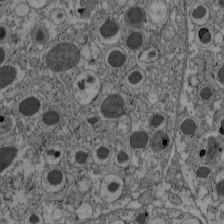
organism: C57BL Mouse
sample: Pancreatic islet